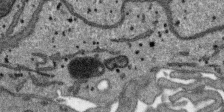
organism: Human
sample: Lung epithelial cells, uninfected (mock) control